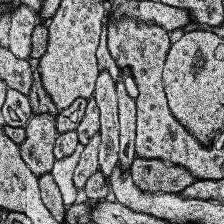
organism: Human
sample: Temporal Lobe